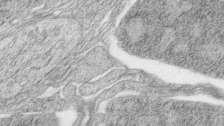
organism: Zebrafish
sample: synaptic ribbons in rod cells and cone cells